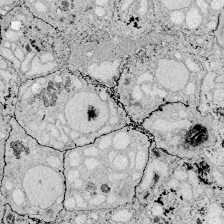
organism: Zebrafish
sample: Whole-Brain